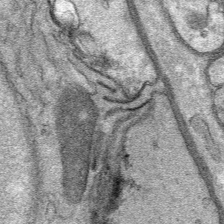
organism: Mouse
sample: Mouse Salivary gland